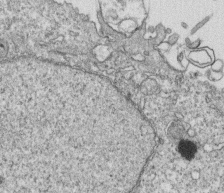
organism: Human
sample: HeLa cell HIV synapse